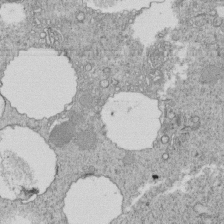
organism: Tetrahymena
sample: Cilia in tetrahymena